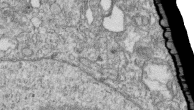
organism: Human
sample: HeLa cell HIV synapse